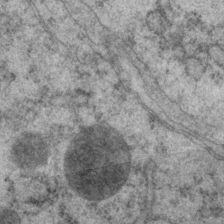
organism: P. pacificus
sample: Pharynx